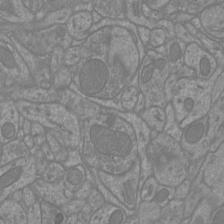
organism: Mouse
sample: Cortical neurons